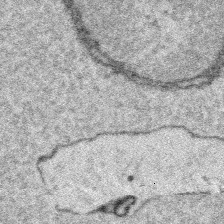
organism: Platynereis dumerilii